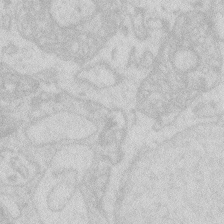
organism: Zebrafish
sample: Macrophage